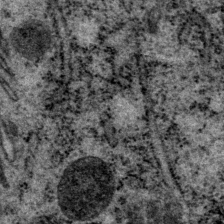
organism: P. pacificus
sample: Pharynx